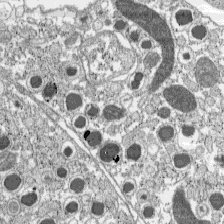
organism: C57BL Mouse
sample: Pancreatic islet